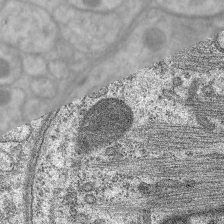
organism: C. elegans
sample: Pharynx